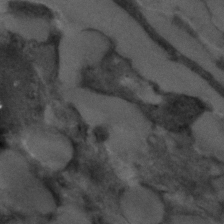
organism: C. elegans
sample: C. elegans embryo